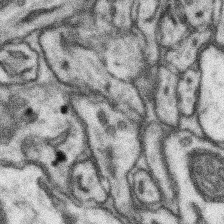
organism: Mouse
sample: Somatosensory cortex neuropil